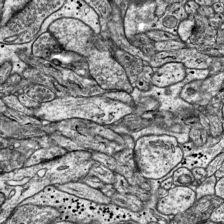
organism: Mouse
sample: Visual Cortex